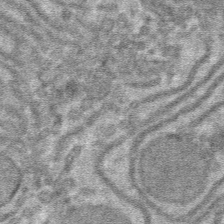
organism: Mouse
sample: Mouse hepatocytes